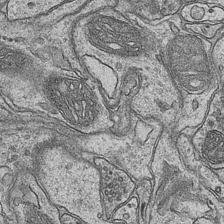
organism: Mouse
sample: CA1 Hippocampus